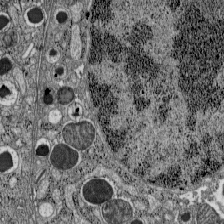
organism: C57BL Mouse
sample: Pancreatic islet